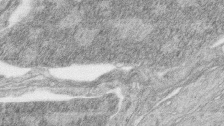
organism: Zebrafish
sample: synaptic ribbons in rod cells and cone cells